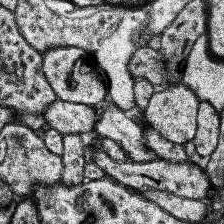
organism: Human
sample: Temporal Lobe